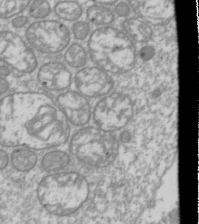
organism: Drosophila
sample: Cell division; meiosis; drosophila spermatocytes